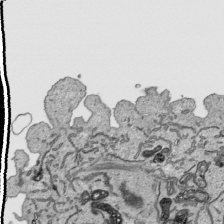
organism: Human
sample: Mitochondria in HCT116 cells